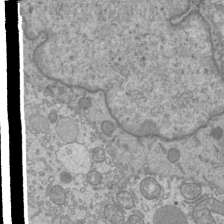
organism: Mouse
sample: Cilia; mouse epididymis